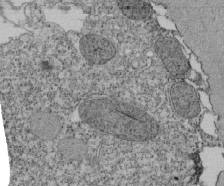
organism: Tetrahymena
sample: Cilia in tetrahymena